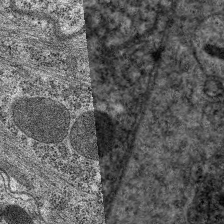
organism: C. elegans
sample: Pharynx